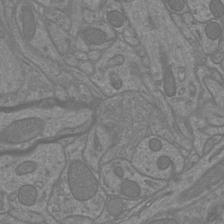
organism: Mouse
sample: Cortical neurons